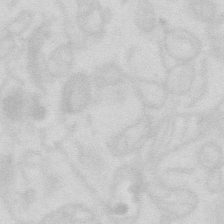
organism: Human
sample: HeLa cells